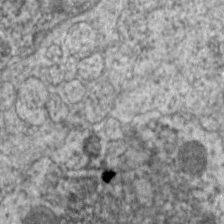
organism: C. elegans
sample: Pharynx